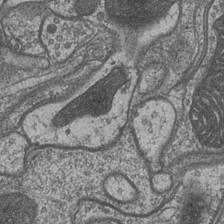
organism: Drosophila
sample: Optic medulla